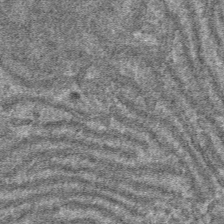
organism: Mouse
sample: Mouse hepatocytes